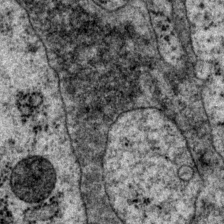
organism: P. pacificus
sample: Pharynx